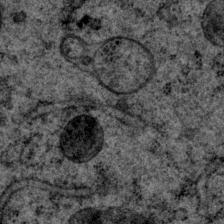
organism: P. pacificus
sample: Pharynx